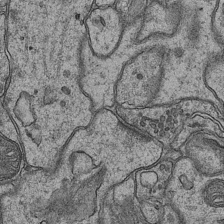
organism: Mouse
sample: CA1 Hippocampus